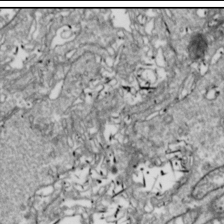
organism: Drosophila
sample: Cell division; meiosis; drosophila spermatocytes